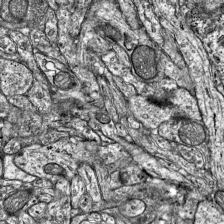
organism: Mouse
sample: Visual Cortex